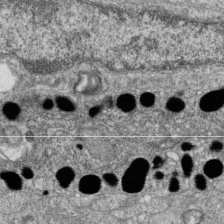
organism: Zebrafish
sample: Cilia; retinal pigment epithelium